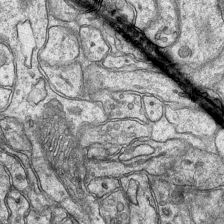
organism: Mouse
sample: CA1 Hippocampus